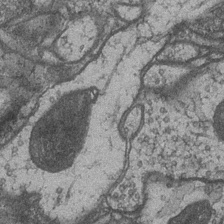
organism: Drosophila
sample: Optic medulla